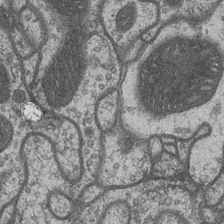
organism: Drosophila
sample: Optic medulla